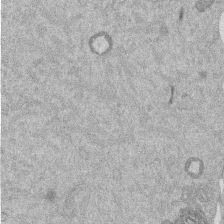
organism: Mouse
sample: Dividing mouse embryo 1 cell stage